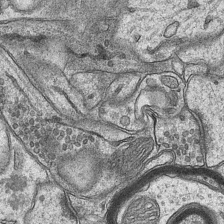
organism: Mouse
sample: CA1 Hippocampus